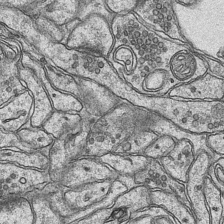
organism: Mouse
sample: CA1 Hippocampus